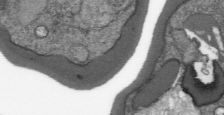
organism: Plasmodium falciparum